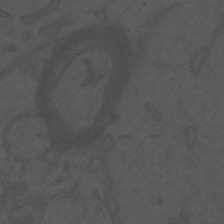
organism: Mouse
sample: Suprachiasmatic nucleus